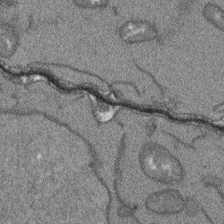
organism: Arabidopsis thaliana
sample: Root tip